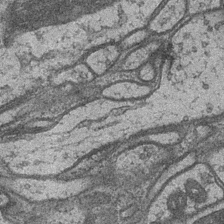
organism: Drosophila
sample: Optic medulla